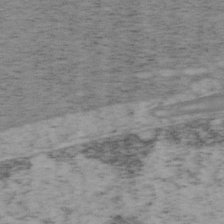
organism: Mouse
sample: OT-I killer T cells with ID8 ovarian cancer cells